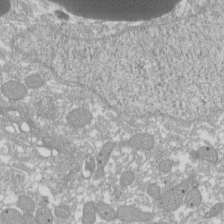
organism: Xenopus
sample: Cilia; centrioles in frog embryo cells